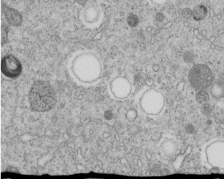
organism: C. elegans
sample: C. elegans embryo early stage